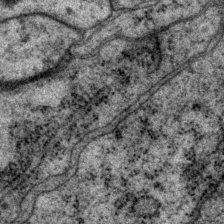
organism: P. pacificus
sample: Pharynx